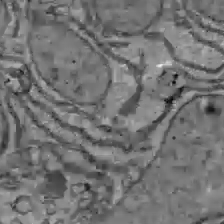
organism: C57BL Mouse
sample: Liver